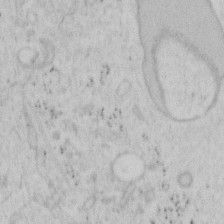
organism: Human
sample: HeLa cells